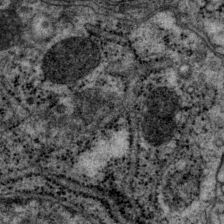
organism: P. pacificus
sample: Pharynx